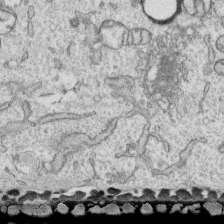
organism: Human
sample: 1205lu cells